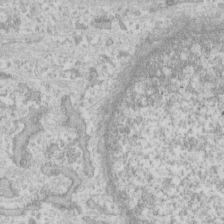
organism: Human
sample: Fibroblast cells